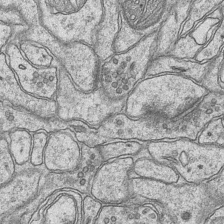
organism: Mouse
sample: CA1 Hippocampus